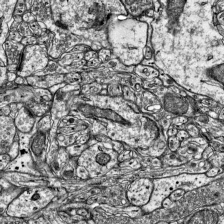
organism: Mouse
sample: Visual Cortex